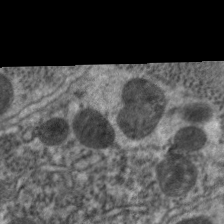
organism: C. elegans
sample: Pharynx